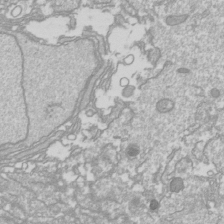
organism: Drosophila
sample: Cell division; meiosis; drosophila spermatocytes